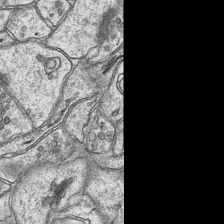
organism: Mouse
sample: CA1 Hippocampus